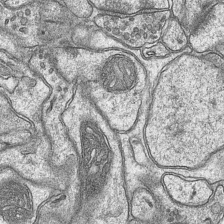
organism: Mouse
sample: CA1 Hippocampus